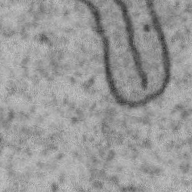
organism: Zebra finch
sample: Brain